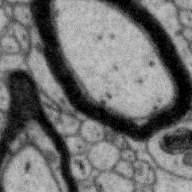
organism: Zebra finch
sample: Brain